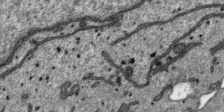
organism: Human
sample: Lung epithelial cells, uninfected (mock) control